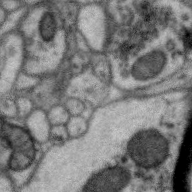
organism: Zebra finch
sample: Brain